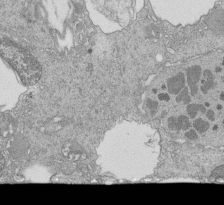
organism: Tetrahymena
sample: Cilia in tetrahymena